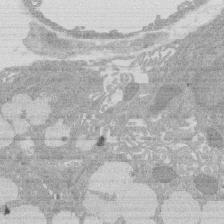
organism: Rat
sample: Salivary granule